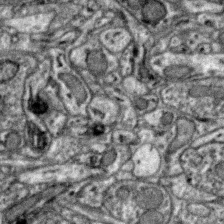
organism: Zebra finch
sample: Brain